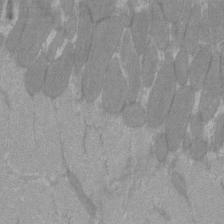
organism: C57BL Mouse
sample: Tibialis anterior muscle cell